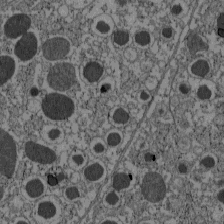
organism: C57BL Mouse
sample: Pancreatic islet